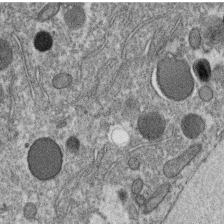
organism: C. elegans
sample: C. elegans oocyte; sperm cells